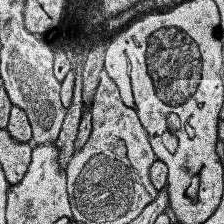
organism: Human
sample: Temporal Lobe